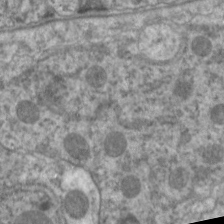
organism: C. elegans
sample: Pharynx